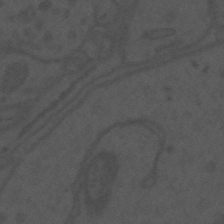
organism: Mouse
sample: Suprachiasmatic nucleus